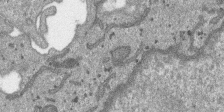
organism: Human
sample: Lung epithelial cells infected with SARS-CoV-2